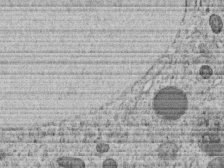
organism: C. elegans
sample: C. elegans embryo early stage